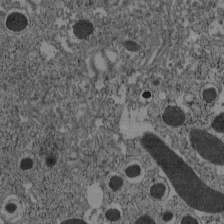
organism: C57BL Mouse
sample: Pancreatic islet